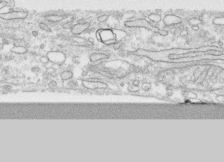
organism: Human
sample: CRL-1474